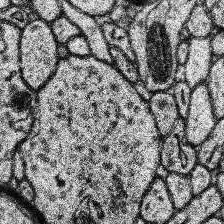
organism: Human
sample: Temporal Lobe